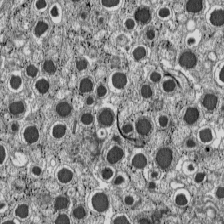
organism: C57BL Mouse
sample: Pancreatic islet